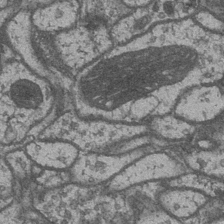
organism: Drosophila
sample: Optic medulla